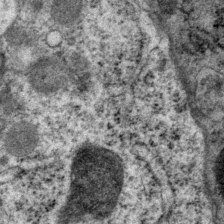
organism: P. pacificus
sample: Pharynx